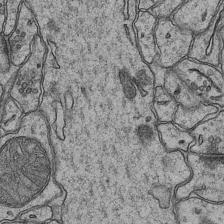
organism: Mouse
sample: CA1 Hippocampus